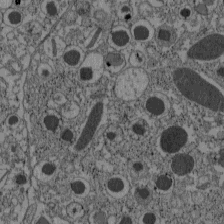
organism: C57BL Mouse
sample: Pancreatic islet